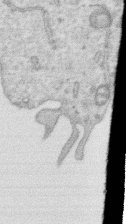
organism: Human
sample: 1205lu cells